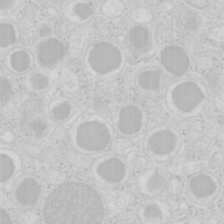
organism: Mouse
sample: Pancreas